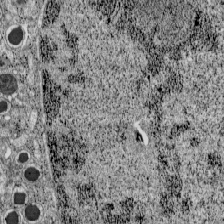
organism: C57BL Mouse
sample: Pancreatic islet